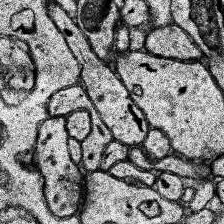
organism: Human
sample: Temporal Lobe